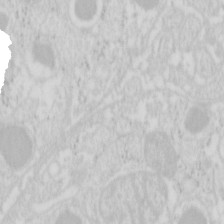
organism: Mouse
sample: Pancreas